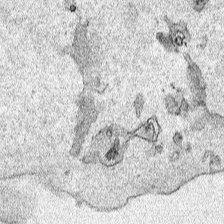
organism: Human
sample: Mitochondria in HCT116 cells